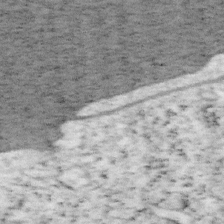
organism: Mouse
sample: OT-I killer T cells with ID8 ovarian cancer cells